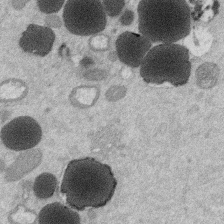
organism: Mouse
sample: Dividing mouse embryo 1 cell stage